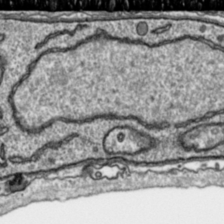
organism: Toxoplasma gondii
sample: Parasites in a vacuole inside a host cell